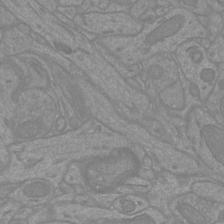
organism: Mouse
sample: Cortical neurons